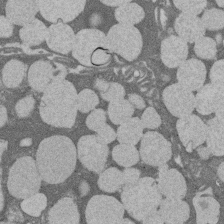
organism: Rat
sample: Salivary granule